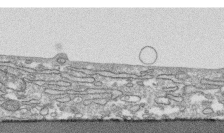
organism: Human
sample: CRL-1474